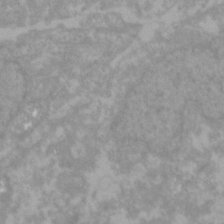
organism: Zebrafish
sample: Zebrafish embryo